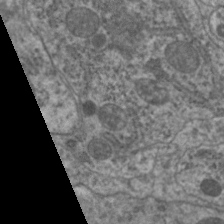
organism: C. elegans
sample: Pharynx